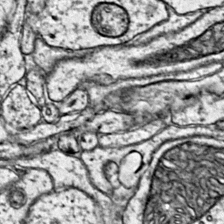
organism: Mouse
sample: Primary visual cortex